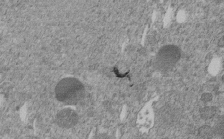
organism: C. elegans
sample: C. elegans embryo early stage